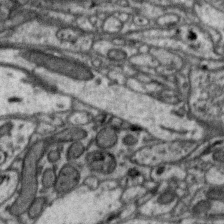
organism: Zebra finch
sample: Brain